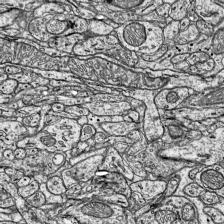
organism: Mouse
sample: Visual Cortex